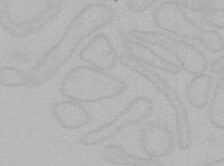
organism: Mouse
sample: Choroid plexus